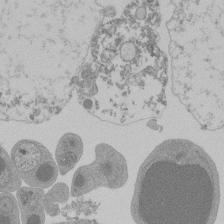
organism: Mouse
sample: Activated Pmel transgenic CD8+ T Cells